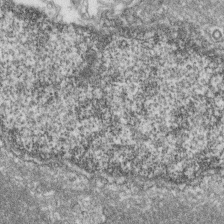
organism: Zebrafish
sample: Cilia; retinal pigment epithelium